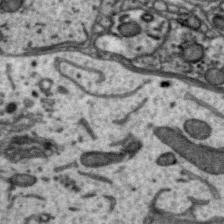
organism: Zebra finch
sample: Brain